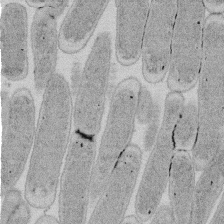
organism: E. coli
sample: Bacterial nucleoid